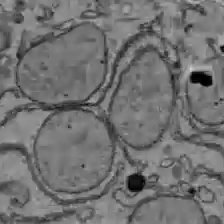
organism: C57BL Mouse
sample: Liver